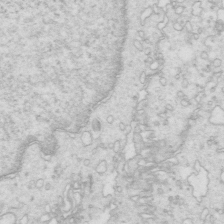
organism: Mouse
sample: Multiciliated cells